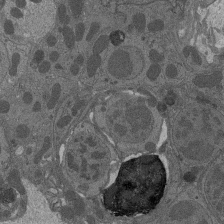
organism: Drosophila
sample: Antenna